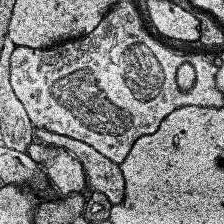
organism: Human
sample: Temporal Lobe